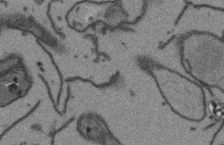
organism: Arabidopsis thaliana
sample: Root tip